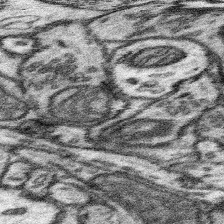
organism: Mouse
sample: Somatosensory cortex neuropil